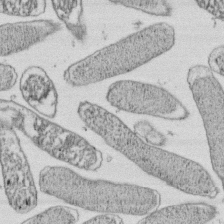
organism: E. coli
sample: Bacterial nucleoid